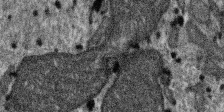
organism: Human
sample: Lung epithelial cells infected with SARS-CoV-2